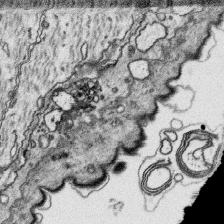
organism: Platynereis dumerilii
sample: Parapodia